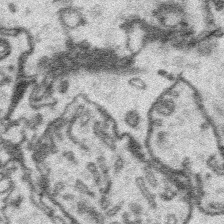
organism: Platynereis dumerilii